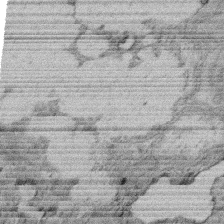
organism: Rat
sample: Salivary granule